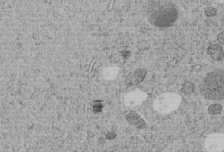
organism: C. elegans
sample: C. elegans embryo early stage